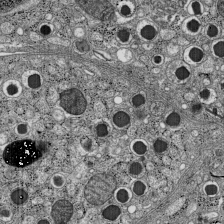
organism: C57BL Mouse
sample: Pancreatic islet